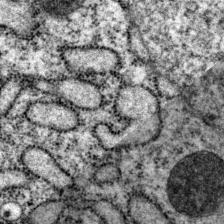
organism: P. pacificus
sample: Pharynx